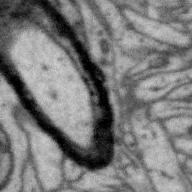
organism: Zebra finch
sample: Brain